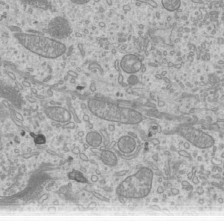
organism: Mouse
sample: Cilia; mouse epididymis